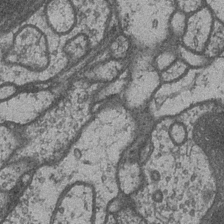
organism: Drosophila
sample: Optic medulla